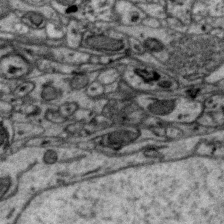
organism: Zebra finch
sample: Brain